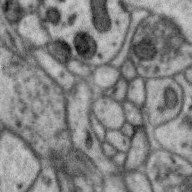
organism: Zebra finch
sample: Brain